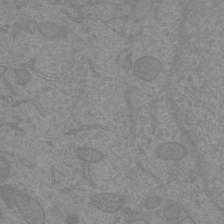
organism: Mouse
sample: Cortical neurons